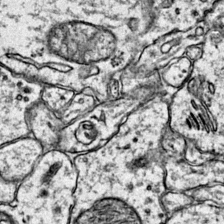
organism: Mouse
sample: Primary visual cortex